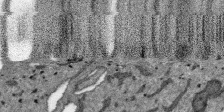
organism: Human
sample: Lung epithelial cells, uninfected (mock) control